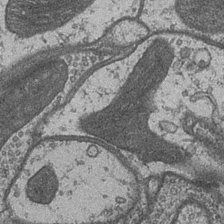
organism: Drosophila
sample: Optic medulla